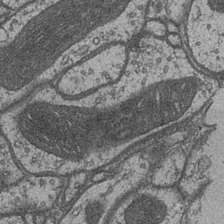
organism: Drosophila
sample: Optic medulla